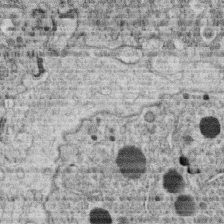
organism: C. elegans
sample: C. elegans oocyte; sperm cells